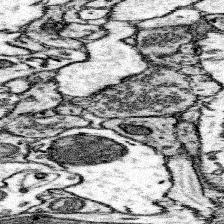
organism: Mouse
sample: Somatosensory cortex neuropil